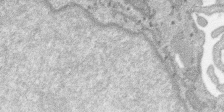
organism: Human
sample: Lung epithelial cells infected with SARS-CoV-2